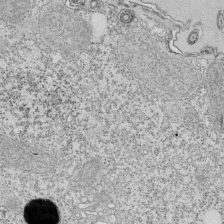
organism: Tetrahymena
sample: Cilia in tetrahymena